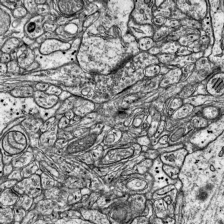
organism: Mouse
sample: Visual Cortex